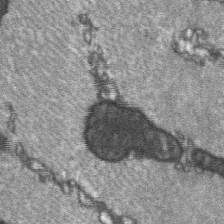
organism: C57BL Mouse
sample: Soleus